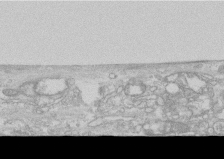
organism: Human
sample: CRL-1474